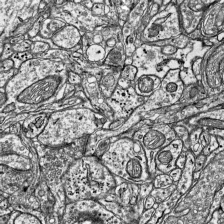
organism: Mouse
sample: Visual Cortex